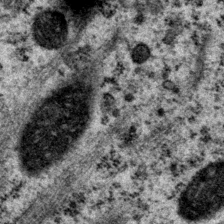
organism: P. pacificus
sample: Pharynx